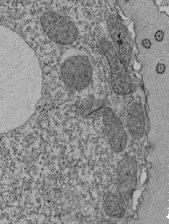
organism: Tetrahymena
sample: Cilia in tetrahymena